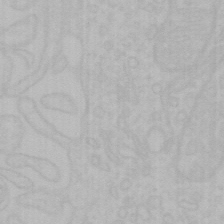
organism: Mouse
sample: Choroid plexus